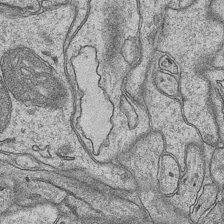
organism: Mouse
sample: CA1 Hippocampus